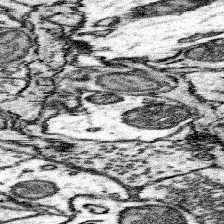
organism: Mouse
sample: Somatosensory cortex neuropil